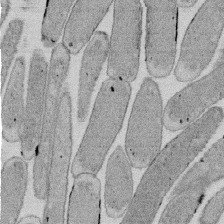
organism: E. coli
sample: Bacterial nucleoid